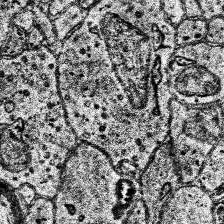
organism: Human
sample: Temporal Lobe